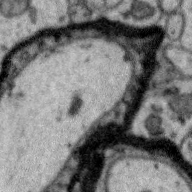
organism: Zebra finch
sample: Brain